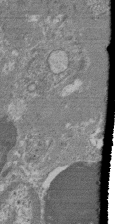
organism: Mouse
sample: Glomerulus